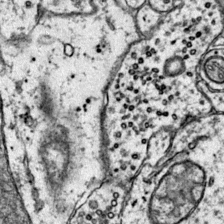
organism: Mouse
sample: Primary visual cortex